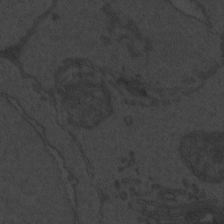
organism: Zebrafish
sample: Macrophage infected with Toxoplasma gondii